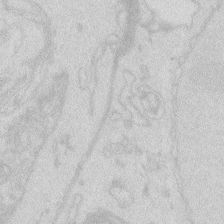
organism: Zebrafish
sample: Macrophage